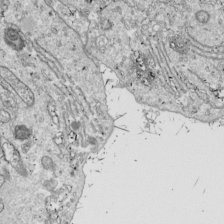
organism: Drosophila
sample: Cell division; meiosis; drosophila spermatocytes